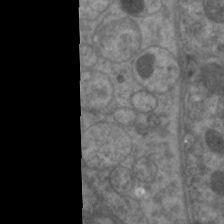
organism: C. elegans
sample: Pharynx